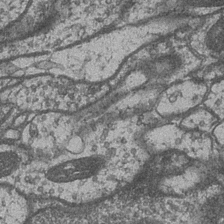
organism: Drosophila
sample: Optic medulla